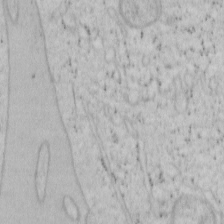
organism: Human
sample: HeLa cells